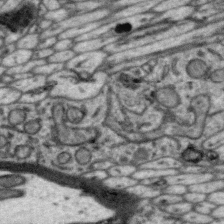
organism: Zebra finch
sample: Brain